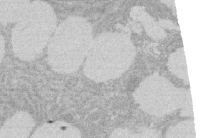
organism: Rat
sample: Salivary granule